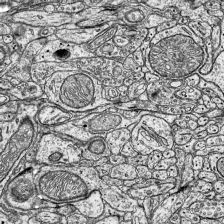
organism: Mouse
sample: Visual Cortex